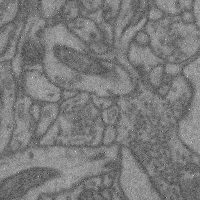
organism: Mouse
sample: Cerebral cortex